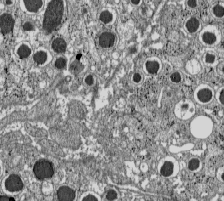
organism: C57BL Mouse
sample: Pancreatic islet